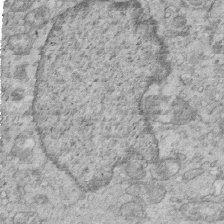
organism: Mouse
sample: Multiciliated cells